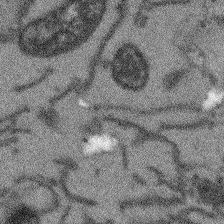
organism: Arabidopsis thaliana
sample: Root tip